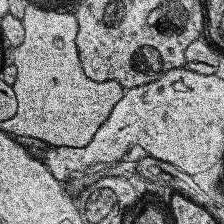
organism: Human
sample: Temporal Lobe